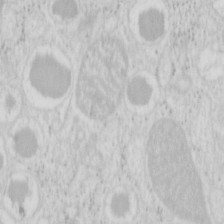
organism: Mouse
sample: Pancreas